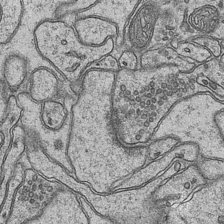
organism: Mouse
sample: CA1 Hippocampus